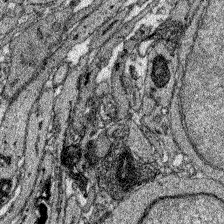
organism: Zebrafish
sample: Larval olfactory bulb